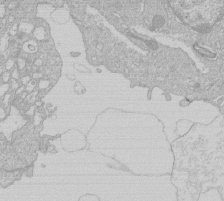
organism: Human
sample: Macrophage cells